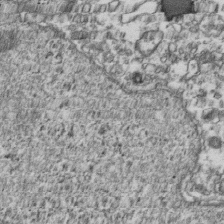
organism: Human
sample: Activated Jurkat CD4+ T cells